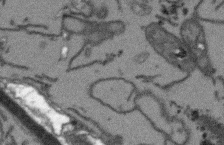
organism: Arabidopsis thaliana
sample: Root tip